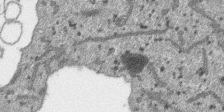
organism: Human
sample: Lung epithelial cells infected with SARS-CoV-2